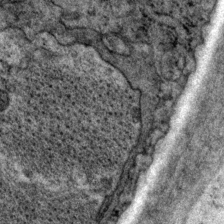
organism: P. pacificus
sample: Pharynx